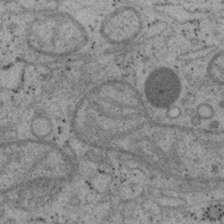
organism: Human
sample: HeLa cells